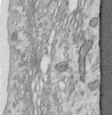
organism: Human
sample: Centriole in RPE cells